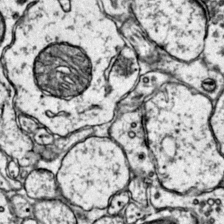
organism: Mouse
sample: Primary visual cortex